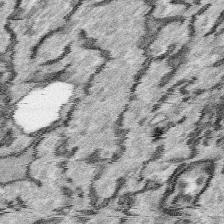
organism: Human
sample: HeLa cells